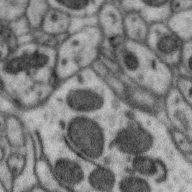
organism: Zebra finch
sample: Brain